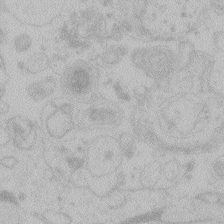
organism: Zebrafish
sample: Macrophage infected with Toxoplasma gondii